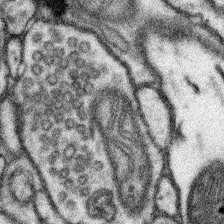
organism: Mouse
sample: Somatosensory cortex neuropil